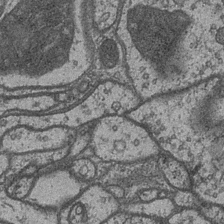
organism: Drosophila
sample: Optic medulla